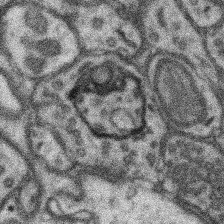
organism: Mouse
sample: Somatosensory cortex neuropil